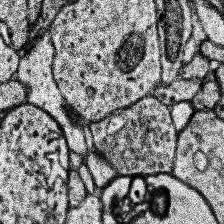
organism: Human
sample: Temporal Lobe